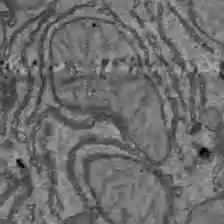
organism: C57BL Mouse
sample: Liver